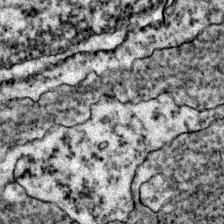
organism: Zebrafish